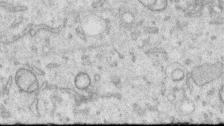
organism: Human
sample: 1205lu cells